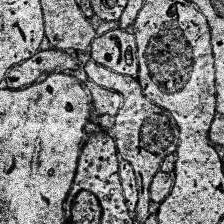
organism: Human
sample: Temporal Lobe